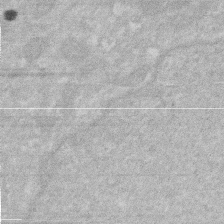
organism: Human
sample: HIV infected U937 cells